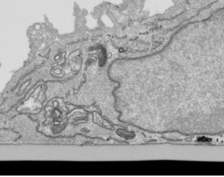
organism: Human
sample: Mitochondria in HCT116 cells